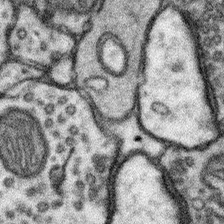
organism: Mouse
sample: Somatosensory cortex neuropil